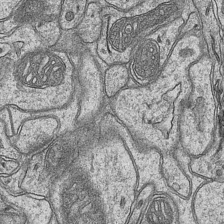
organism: Mouse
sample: CA1 Hippocampus